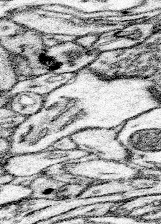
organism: Mouse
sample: Somatosensory cortex neuropil